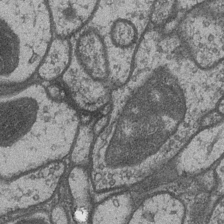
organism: Drosophila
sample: Optic medulla